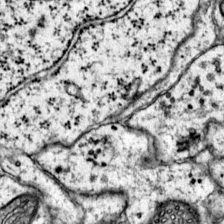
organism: Mouse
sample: Primary visual cortex